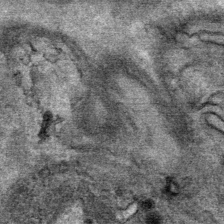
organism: Mouse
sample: Mouse Salivary gland